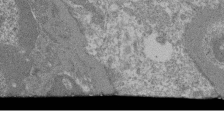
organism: Mouse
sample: Glomerulus